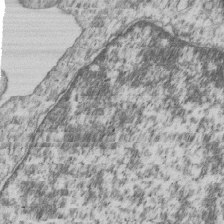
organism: Human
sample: MDA-MB-231 cells